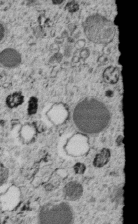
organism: C. elegans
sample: C. elegans embryo early stage